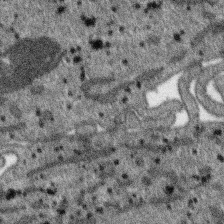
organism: Human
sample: Lung epithelial cells infected with SARS-CoV-2